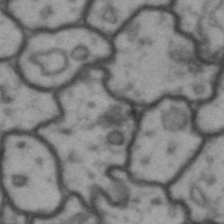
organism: Drosophila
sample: Brain